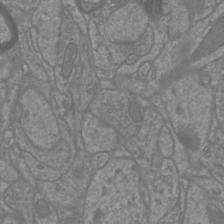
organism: Mouse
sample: Cortical neurons